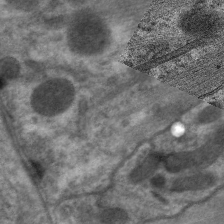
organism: C. elegans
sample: Pharynx